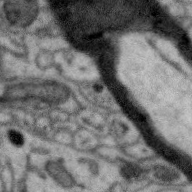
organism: Zebra finch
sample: Brain